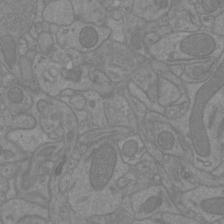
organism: Mouse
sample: Cortical neurons